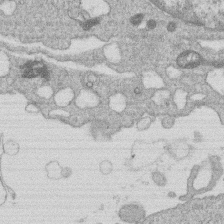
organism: Human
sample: Macrophage cells